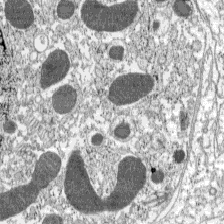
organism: C57BL Mouse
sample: Pancreatic islet